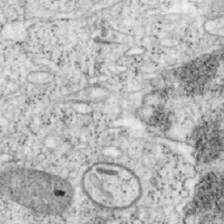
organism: Mouse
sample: OT-I killer T cells with ID8 ovarian cancer cells